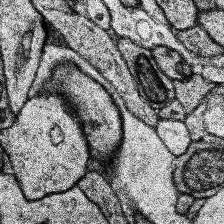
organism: Human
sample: Temporal Lobe